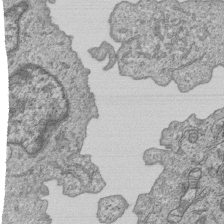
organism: Human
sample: MDA-MB-231 cells